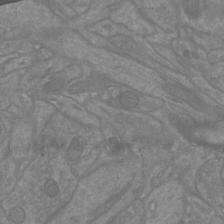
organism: Mouse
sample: Cortical neurons